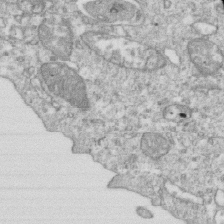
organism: Mouse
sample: Activated OT-1 CD8+ T cells